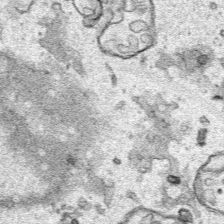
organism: Human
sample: Mitochondria in HCT116 cells